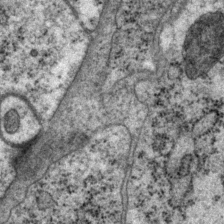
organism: P. pacificus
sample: Pharynx